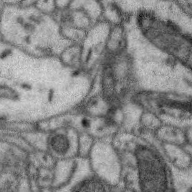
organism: Zebra finch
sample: Brain